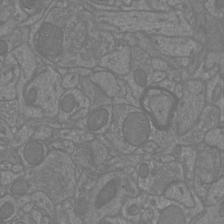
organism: Mouse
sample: Cortical neurons